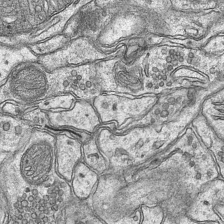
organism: Mouse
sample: CA1 Hippocampus